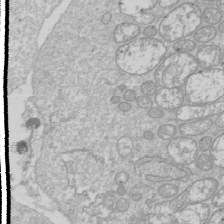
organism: Drosophila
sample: Cell division; meiosis; drosophila spermatocytes